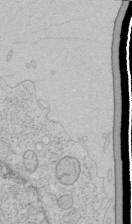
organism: Human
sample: Mitochondria in HCT116 cells